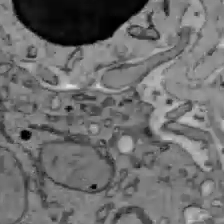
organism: C57BL Mouse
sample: Liver